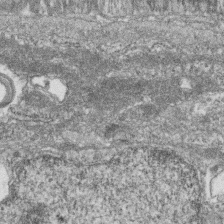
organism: Zebrafish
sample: Cilia; retinal pigment epithelium